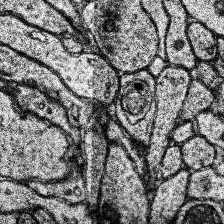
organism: Human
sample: Temporal Lobe